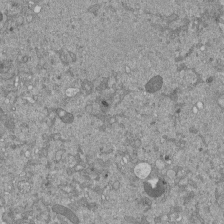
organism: Mouse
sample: ED-1 cell nuclei; centrioles